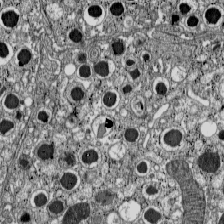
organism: C57BL Mouse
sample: Pancreatic islet